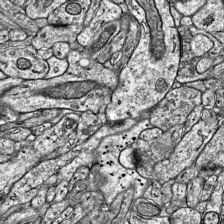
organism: Mouse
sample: Visual Cortex